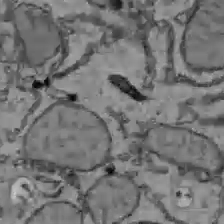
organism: C57BL Mouse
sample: Liver